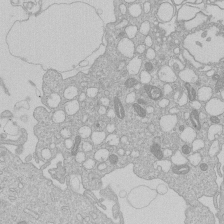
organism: Human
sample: Macrophage cells